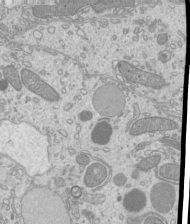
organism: Mouse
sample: Cilia; mouse epididymis